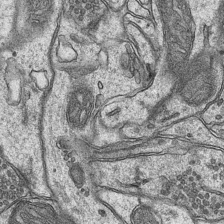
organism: Mouse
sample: CA1 Hippocampus